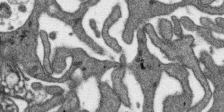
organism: Human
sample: Lung epithelial cells, uninfected (mock) control